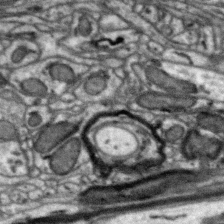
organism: Zebra finch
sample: Brain